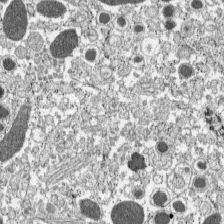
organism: C57BL Mouse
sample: Pancreatic islet